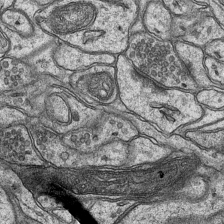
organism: Mouse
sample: CA1 Hippocampus